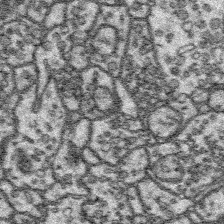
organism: Platynereis dumerilii